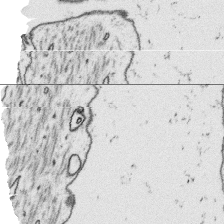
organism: Platynereis dumerilii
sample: Parapodia